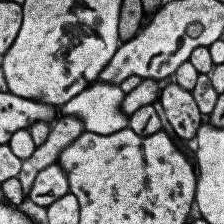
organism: Human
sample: Temporal Lobe